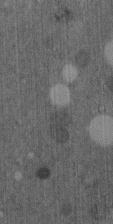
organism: C. elegans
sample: C. elegans embryo early stage